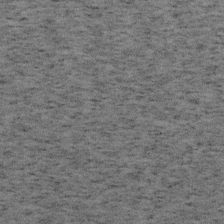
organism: Mouse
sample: OT-I killer T cells with ID8 ovarian cancer cells